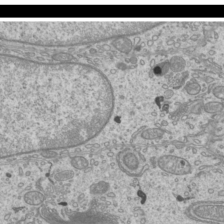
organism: Mouse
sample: Cilia; mouse epididymis